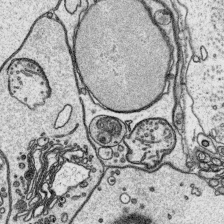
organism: Platynereis dumerilii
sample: Parapodia